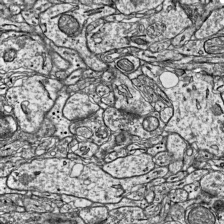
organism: Mouse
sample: Visual Cortex